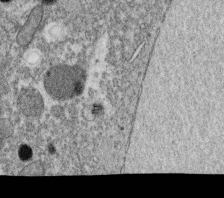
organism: C. elegans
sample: C. elegans oocyte; sperm cells